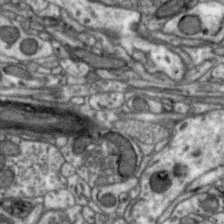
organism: Zebra finch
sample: Brain